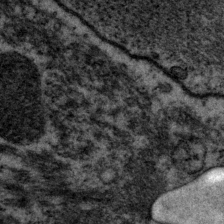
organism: P. pacificus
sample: Pharynx